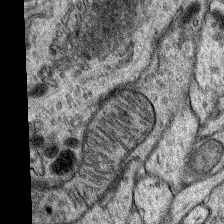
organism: Rat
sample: Hippocampus